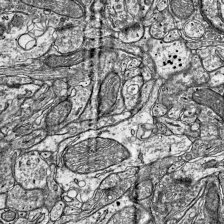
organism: Mouse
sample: Visual Cortex